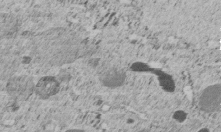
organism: C. elegans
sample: C. elegans embryo early stage